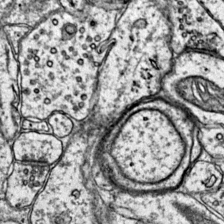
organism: Mouse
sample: Primary visual cortex